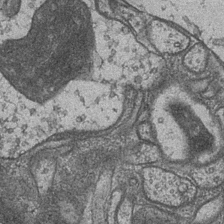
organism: Drosophila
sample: Optic medulla